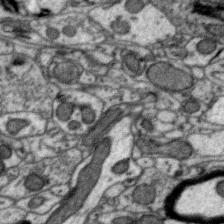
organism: Zebra finch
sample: Brain